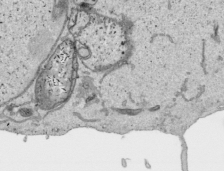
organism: Human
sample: Mitochondria in HCT116 cells